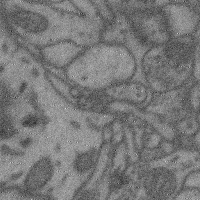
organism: Mouse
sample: Cerebral cortex